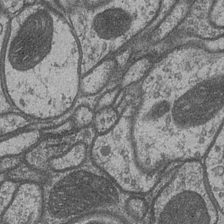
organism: Drosophila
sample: Optic medulla